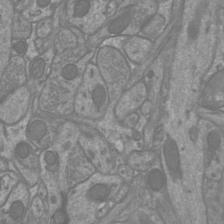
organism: Mouse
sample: Cortical neurons